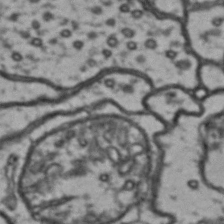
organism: Drosophila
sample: Brain